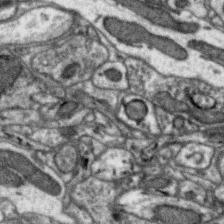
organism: Zebra finch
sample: Brain